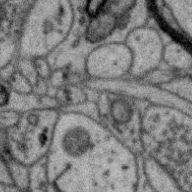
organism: Zebra finch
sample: Brain